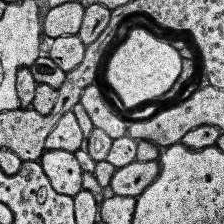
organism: Human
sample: Temporal Lobe